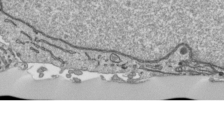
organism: Human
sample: Mitochondria in HCT116 cells